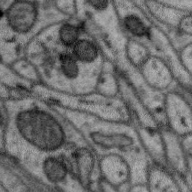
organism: Zebra finch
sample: Brain